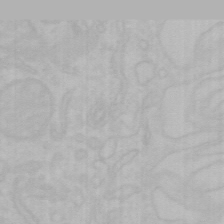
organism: Mouse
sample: Choroid plexus